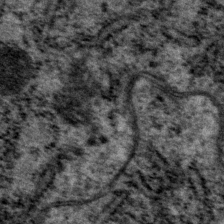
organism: P. pacificus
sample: Pharynx